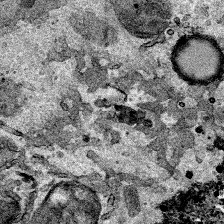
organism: Human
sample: Mitochondria in HCT116 cells